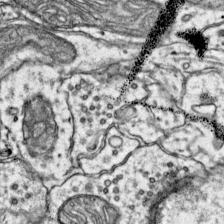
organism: Mouse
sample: Primary visual cortex